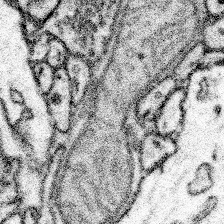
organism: Mouse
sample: Somatosensory cortex neuropil